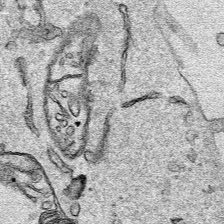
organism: Human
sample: Mitochondria in HCT116 cells